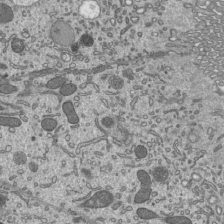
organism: Mouse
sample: Mouse epididymis efferent ductule cilia